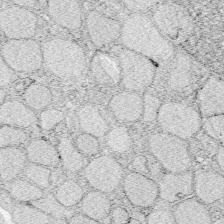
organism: Zebrafish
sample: Whole-Brain